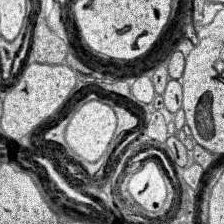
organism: Human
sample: Temporal Lobe